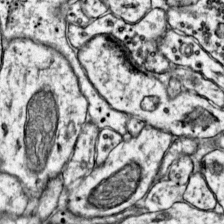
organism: Mouse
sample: Primary visual cortex